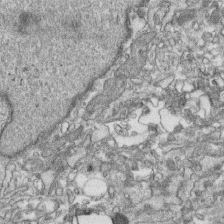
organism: Human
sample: CRL-1474